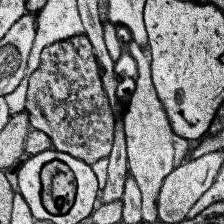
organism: Human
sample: Temporal Lobe